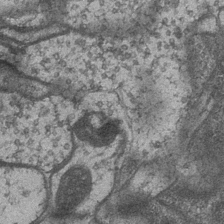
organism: Drosophila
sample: Optic medulla